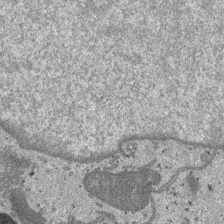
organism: Human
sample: Lung epithelial cells infected with SARS-CoV-2